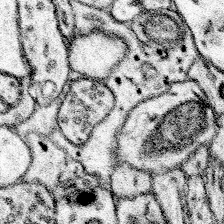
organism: Mouse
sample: Somatosensory cortex neuropil